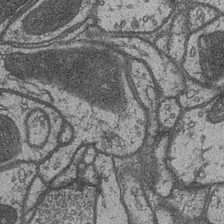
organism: Drosophila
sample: Optic medulla